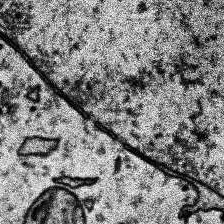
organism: Human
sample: Temporal Lobe